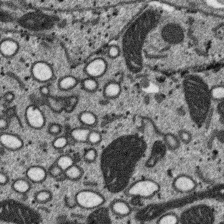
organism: Human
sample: Lung epithelial cells infected with SARS-CoV-2